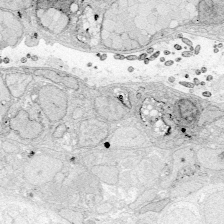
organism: Zebrafish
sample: Whole-Brain